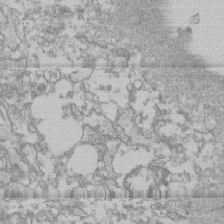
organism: Human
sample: CRL-1474